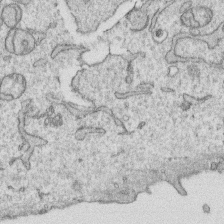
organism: Human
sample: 1205lu cells